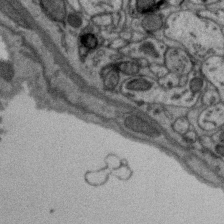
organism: Zebra finch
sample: Brain